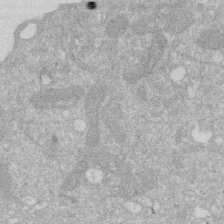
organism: Human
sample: HIV infected U937 cells